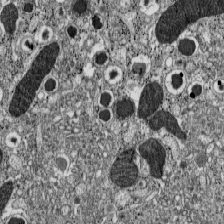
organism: C57BL Mouse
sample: Pancreatic islet